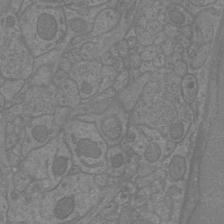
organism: Mouse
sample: Cortical neurons